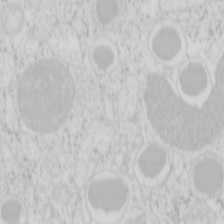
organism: Mouse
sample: Pancreas